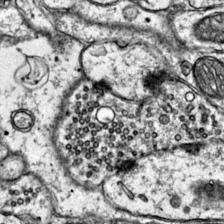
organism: Mouse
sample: Primary visual cortex